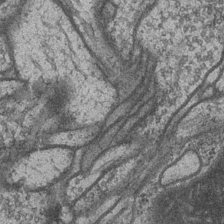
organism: Drosophila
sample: Optic medulla